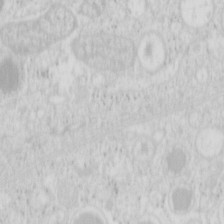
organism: Mouse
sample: Pancreas